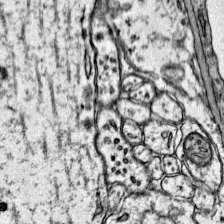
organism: Mouse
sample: Primary visual cortex